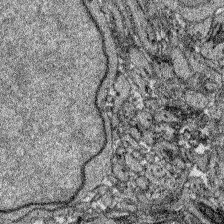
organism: Zebrafish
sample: Larval olfactory bulb